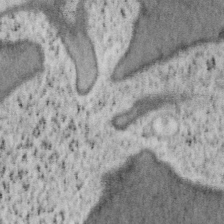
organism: Mouse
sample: OT-I killer T cells with ID8 ovarian cancer cells